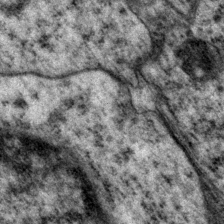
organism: P. pacificus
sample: Pharynx